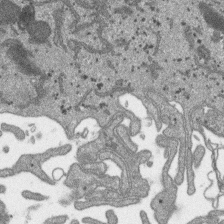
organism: Human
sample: Lung epithelial cells infected with SARS-CoV-2